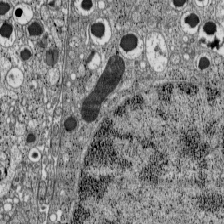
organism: C57BL Mouse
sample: Pancreatic islet